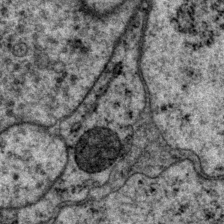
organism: P. pacificus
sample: Pharynx